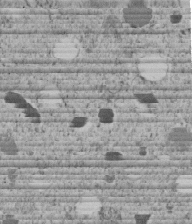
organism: C. elegans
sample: C. elegans embryo early stage